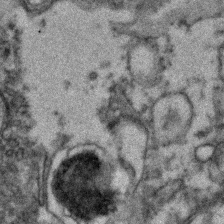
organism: Zebrafish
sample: Zebrafish embryo